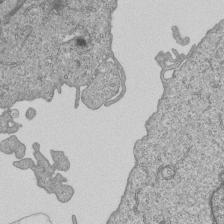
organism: Human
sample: MDA-MB-231 cells